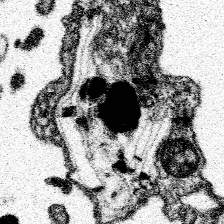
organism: Spongilla lacustris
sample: Neuroid cell